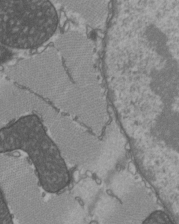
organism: C57BL Mouse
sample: Heart